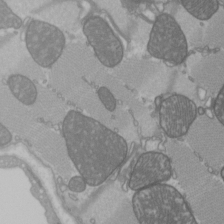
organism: C57BL Mouse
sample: Heart